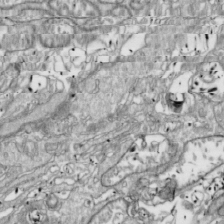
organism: Drosophila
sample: Cell division; meiosis; drosophila spermatocytes